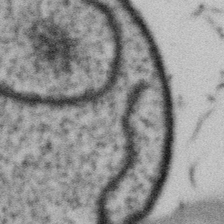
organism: Gemmata obscuriglobus